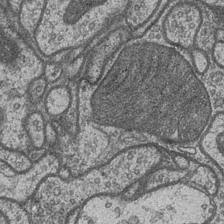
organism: Drosophila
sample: Optic medulla